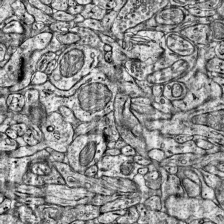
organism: Mouse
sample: Visual Cortex